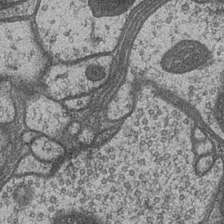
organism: Drosophila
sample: Optic medulla